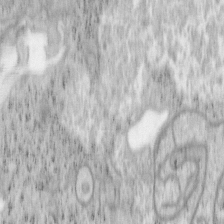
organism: Human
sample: HeLa cells